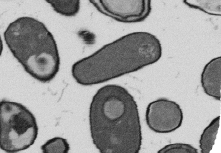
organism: B. subtilis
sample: Bacterial spore